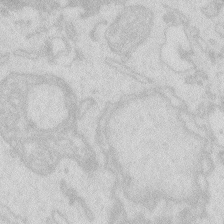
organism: Zebrafish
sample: Macrophage